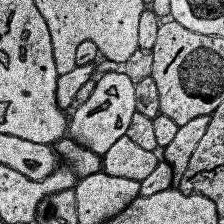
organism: Human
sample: Temporal Lobe